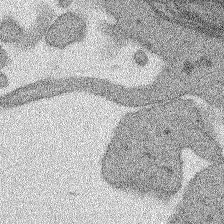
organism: Human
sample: HeLa cells